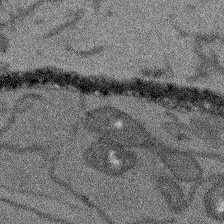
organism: Arabidopsis thaliana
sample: Root tip